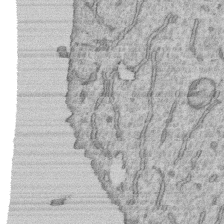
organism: Human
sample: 1205lu cells